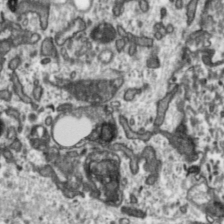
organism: Toxoplasma gondii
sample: Parasites in a vacuole inside a host cell